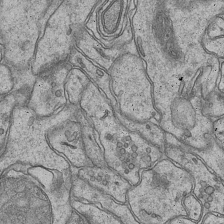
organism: Mouse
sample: CA1 Hippocampus